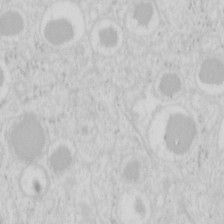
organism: Mouse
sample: Pancreas